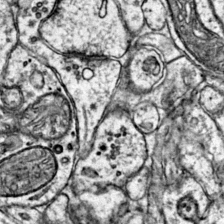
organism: Mouse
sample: Primary visual cortex